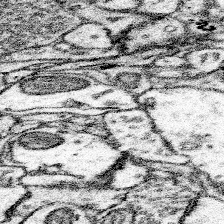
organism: Mouse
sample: Somatosensory cortex neuropil